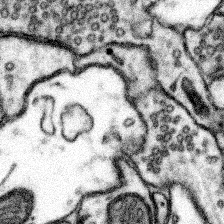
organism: Mouse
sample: Somatosensory cortex neuropil